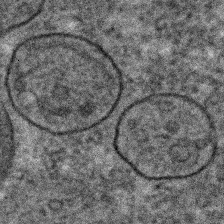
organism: C. elegans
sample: C. elegans embryo